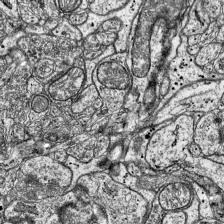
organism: Mouse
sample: Visual Cortex